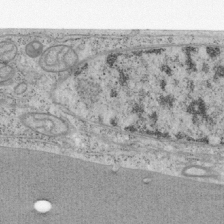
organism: Human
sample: HeLa cells